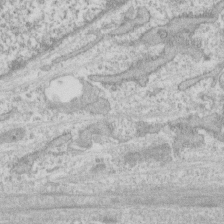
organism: Human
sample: CRL-1474